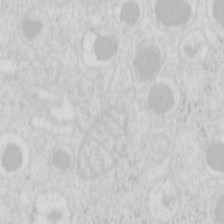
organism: Mouse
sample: Pancreas